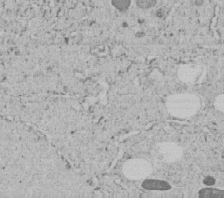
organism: C. elegans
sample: C. elegans embryo early stage